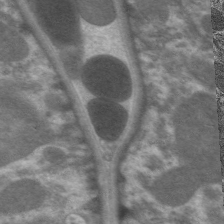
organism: C. elegans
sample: Pharynx